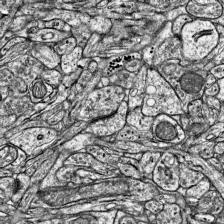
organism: Mouse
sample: Visual Cortex